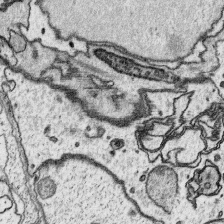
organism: Platynereis dumerilii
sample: Parapodia